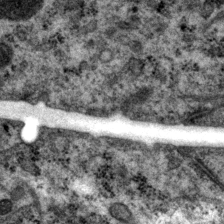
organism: P. pacificus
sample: Pharynx